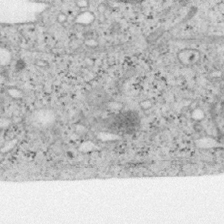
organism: Mouse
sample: OT-I killer T cells with ID8 ovarian cancer cells